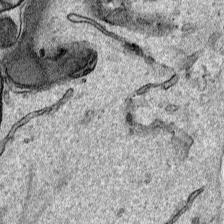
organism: Human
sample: Mitochondria in HCT116 cells